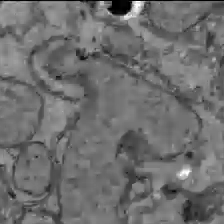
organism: C57BL Mouse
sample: Liver